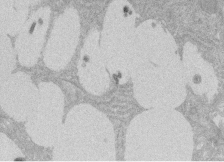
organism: Rat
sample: Salivary granule